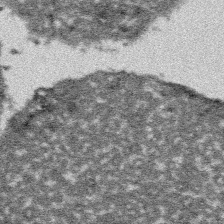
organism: Platynereis dumerilii